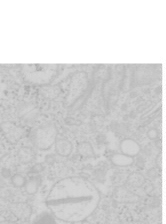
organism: Mouse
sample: Pancreas